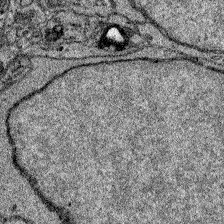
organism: Zebrafish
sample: Larval olfactory bulb